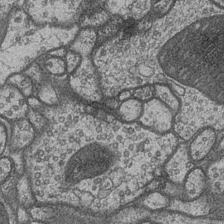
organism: Drosophila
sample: Optic medulla